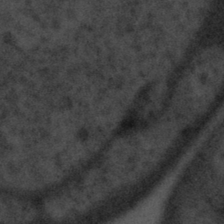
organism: Tuwongella immobilis